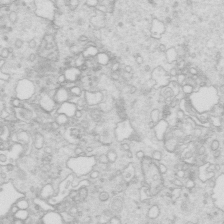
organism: Mouse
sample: Multiciliated cells